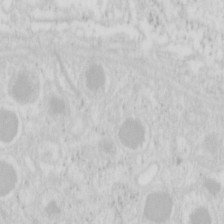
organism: Mouse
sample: Pancreas